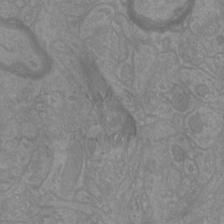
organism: Mouse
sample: Cortical neurons